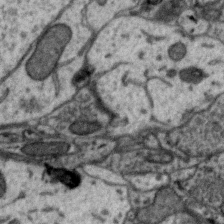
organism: Zebra finch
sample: Brain